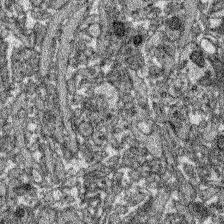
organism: Zebrafish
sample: Larval olfactory bulb